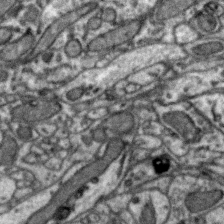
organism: Zebra finch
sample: Brain